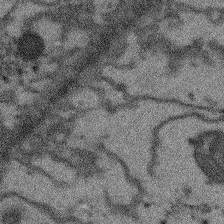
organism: Arabidopsis thaliana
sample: Root tip